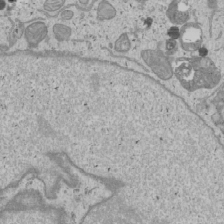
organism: Human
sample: Mitochondria in U2OS cells